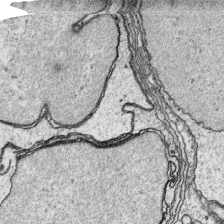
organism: Platynereis dumerilii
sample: Parapodia